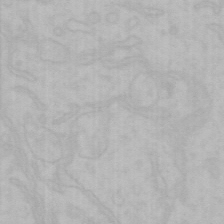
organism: Mouse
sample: Choroid plexus